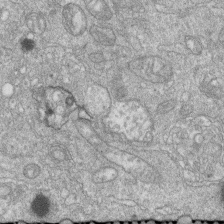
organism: Human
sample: HeLa cell HIV synapse